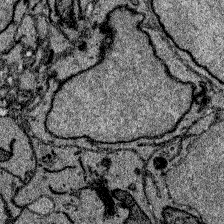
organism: Zebrafish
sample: Larval olfactory bulb